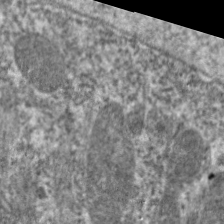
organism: C. elegans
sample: Pharynx